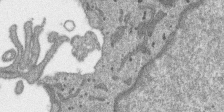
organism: Human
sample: Lung epithelial cells infected with SARS-CoV-2